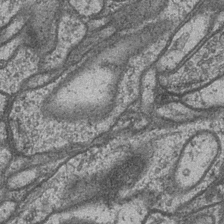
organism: Drosophila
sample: Optic medulla